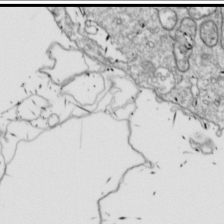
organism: Drosophila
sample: Cell division; meiosis; drosophila spermatocytes